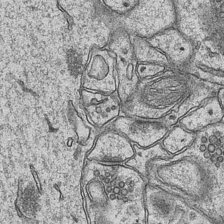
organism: Mouse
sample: CA1 Hippocampus